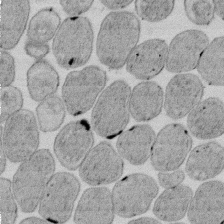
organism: E. coli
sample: Bacterial nucleoid